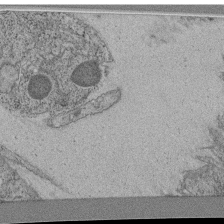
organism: C. elegans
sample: C. elegans pharynx